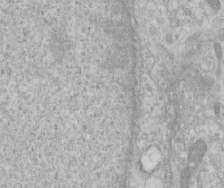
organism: Human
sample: Centriole in RPE cells